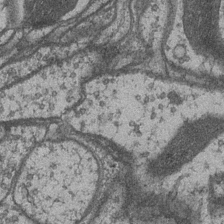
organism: Drosophila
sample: Optic medulla